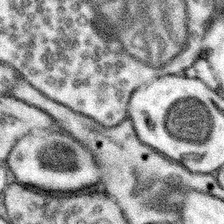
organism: Mouse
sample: Somatosensory cortex neuropil